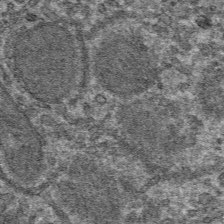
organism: Mouse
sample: Mouse hepatocytes